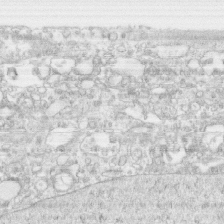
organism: Human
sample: CRL-1474